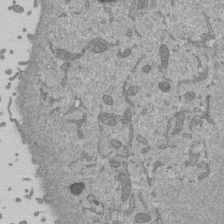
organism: Mouse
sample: ED-1 cell nuclei; centrioles